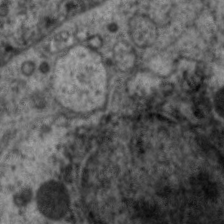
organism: C. elegans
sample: Pharynx